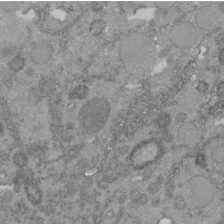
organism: C. elegans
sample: C. elegans embryo early stage